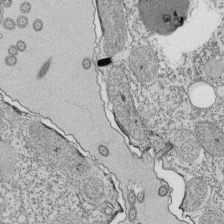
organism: Tetrahymena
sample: Cilia in tetrahymena